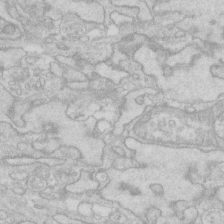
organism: Human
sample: Fibroblast cells